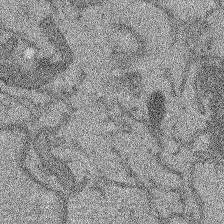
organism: Human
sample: HeLa cells